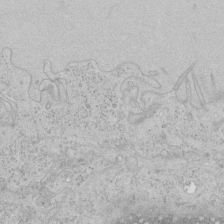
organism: Human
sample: Mitochondria in HCT116 cells